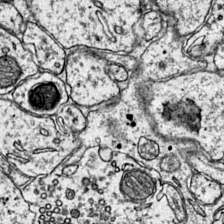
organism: Mouse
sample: Primary visual cortex